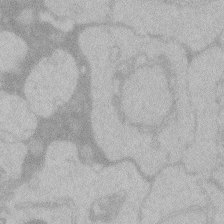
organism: Zebrafish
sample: Macrophage infected with Toxoplasma gondii